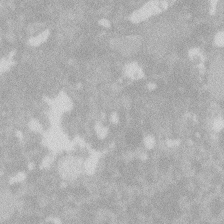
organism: Zebrafish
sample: Macrophage